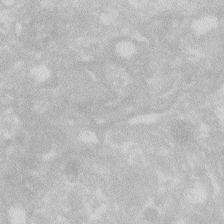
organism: Zebrafish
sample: Macrophage